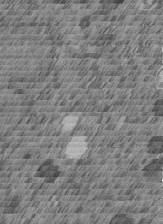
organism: C. elegans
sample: C. elegans embryo early stage